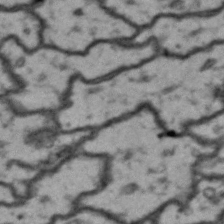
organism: Drosophila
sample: Brain